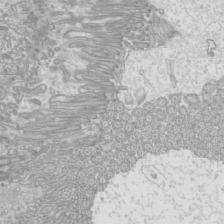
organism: Mouse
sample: Cilia; mouse epididymis